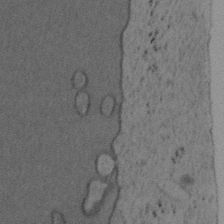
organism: Human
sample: HeLa cells